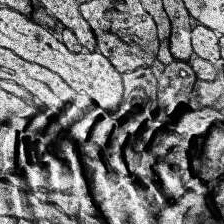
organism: Human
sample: Temporal Lobe